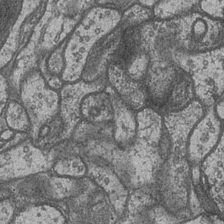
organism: Drosophila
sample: Optic medulla